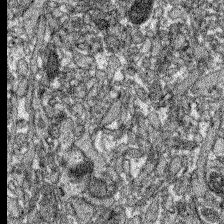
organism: Zebrafish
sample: Larval olfactory bulb